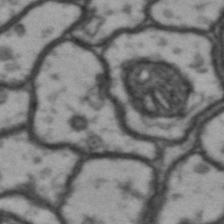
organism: Drosophila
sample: Brain